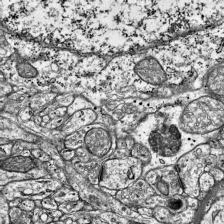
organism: Mouse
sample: Visual Cortex